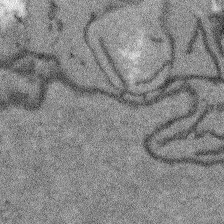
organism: Arabidopsis thaliana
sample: Root tip